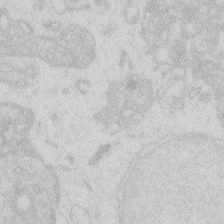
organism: Zebrafish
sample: Macrophage